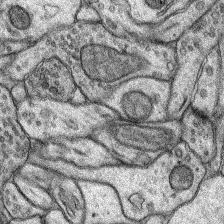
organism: Rat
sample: Hippocampus